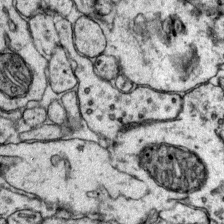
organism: Mouse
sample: Primary visual cortex